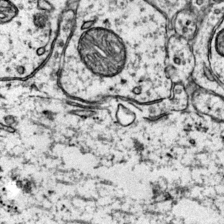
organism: Mouse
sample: Primary visual cortex